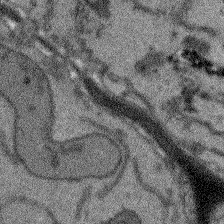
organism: Arabidopsis thaliana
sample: Root tip